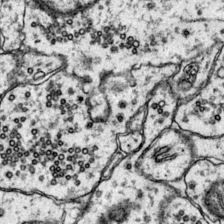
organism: Mouse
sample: Primary visual cortex